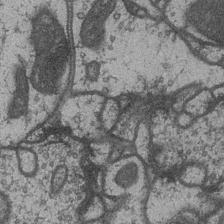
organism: Drosophila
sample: Optic medulla